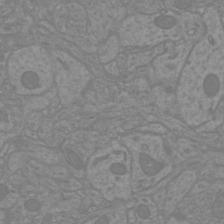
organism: Mouse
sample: Cortical neurons